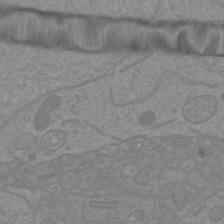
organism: Mouse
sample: Cortical neurons